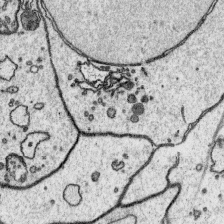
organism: Platynereis dumerilii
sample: Parapodia